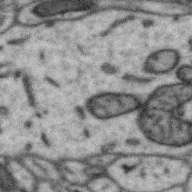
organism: Zebra finch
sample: Brain